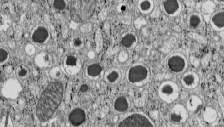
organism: C57BL Mouse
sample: Pancreatic islet